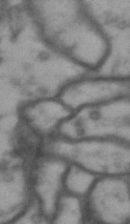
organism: Drosophila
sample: Brain